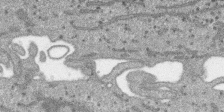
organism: Human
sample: Lung epithelial cells infected with SARS-CoV-2